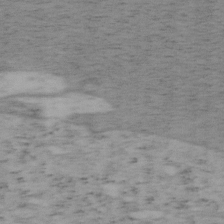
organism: Mouse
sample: OT-I killer T cells with ID8 ovarian cancer cells